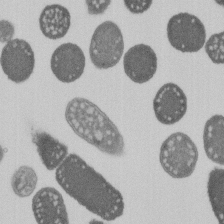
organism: E. coli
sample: Bacterial nucleoid